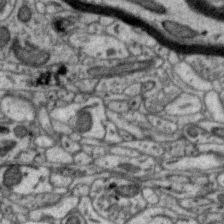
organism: Zebra finch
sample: Brain